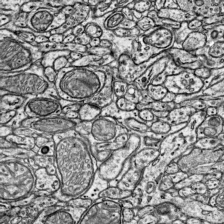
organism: Mouse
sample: Visual Cortex